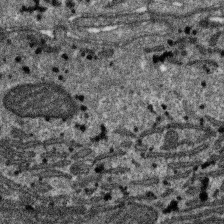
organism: Human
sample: Lung epithelial cells infected with SARS-CoV-2